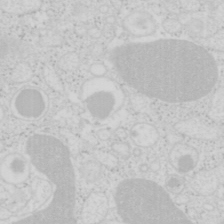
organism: Mouse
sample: Pancreas